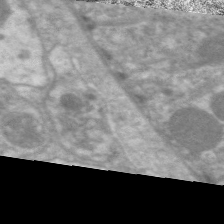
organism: C. elegans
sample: Pharynx